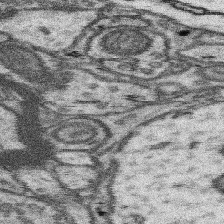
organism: Mouse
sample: Somatosensory cortex neuropil